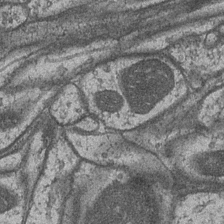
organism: Drosophila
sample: Optic medulla